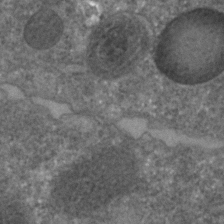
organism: C. elegans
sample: C. elegans embryo